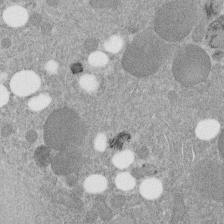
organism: C. elegans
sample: C. elegans embryo early stage